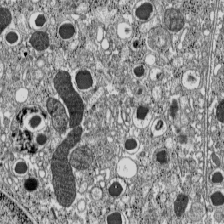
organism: C57BL Mouse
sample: Pancreatic islet